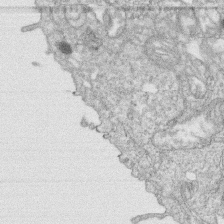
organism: Human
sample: HeLa cell HIV synapse